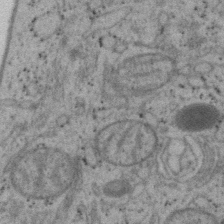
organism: Human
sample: HeLa cells